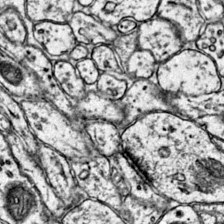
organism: Mouse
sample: Primary visual cortex